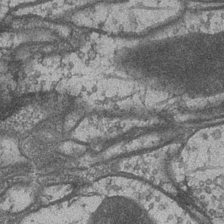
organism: Drosophila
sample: Optic medulla